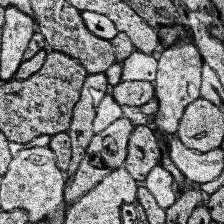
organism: Human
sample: Temporal Lobe